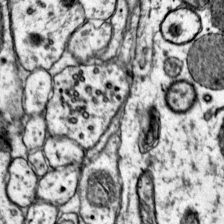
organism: Mouse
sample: Primary visual cortex